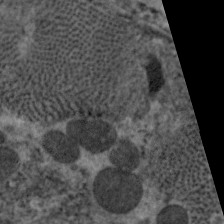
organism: C. elegans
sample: Pharynx